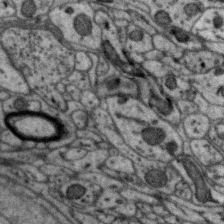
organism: Zebra finch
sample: Brain